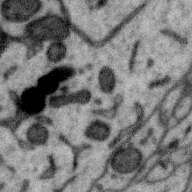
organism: Zebra finch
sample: Brain